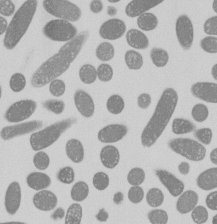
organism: E. coli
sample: Bacterial nucleoid